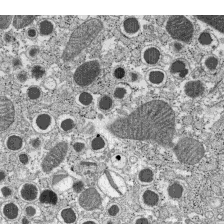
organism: C57BL Mouse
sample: Pancreatic islet